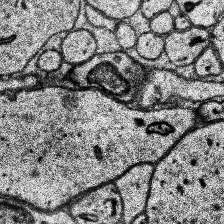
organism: Human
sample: Temporal Lobe